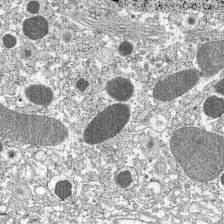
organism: C57BL Mouse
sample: Pancreatic islet